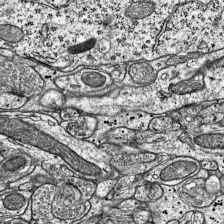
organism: Mouse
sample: Visual Cortex